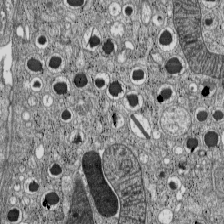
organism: C57BL Mouse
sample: Pancreatic islet